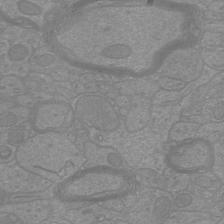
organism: Mouse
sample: Cortical neurons